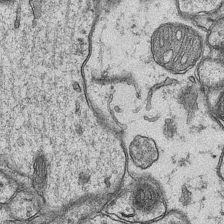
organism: Mouse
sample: CA1 Hippocampus